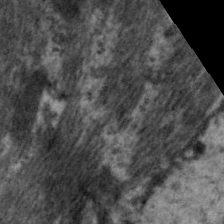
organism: C. elegans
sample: Pharynx